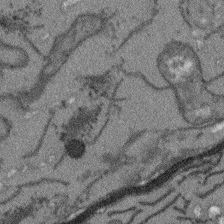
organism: Arabidopsis thaliana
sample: Root tip